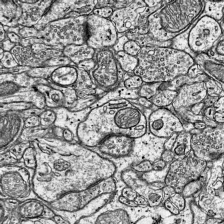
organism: Mouse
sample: Visual Cortex